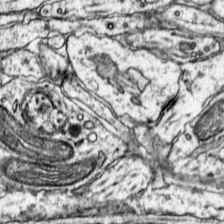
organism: Mouse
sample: Primary visual cortex